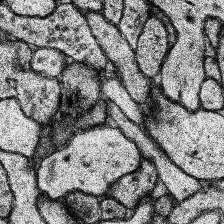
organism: Human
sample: Temporal Lobe